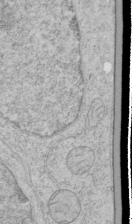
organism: Human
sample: Mitochondria in HCT116 cells